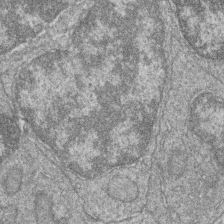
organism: Zebrafish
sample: Cilia; retinal pigment epithelium